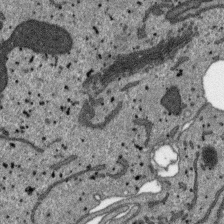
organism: Human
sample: Lung epithelial cells, uninfected (mock) control